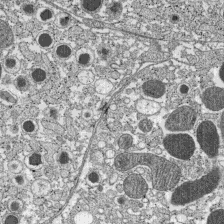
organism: C57BL Mouse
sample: Pancreatic islet